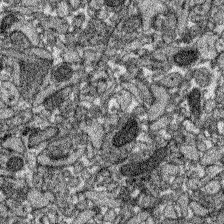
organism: Zebrafish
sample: Larval olfactory bulb